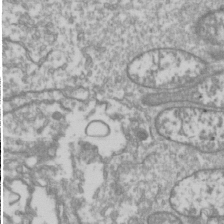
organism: Drosophila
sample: Cell division; meiosis; drosophila spermatocytes